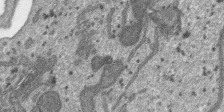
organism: Human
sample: Lung epithelial cells infected with SARS-CoV-2